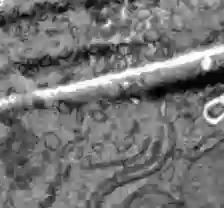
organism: C57BL Mouse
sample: Liver